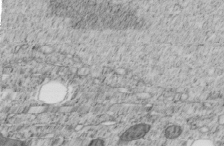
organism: C. elegans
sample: C. elegans embryo early stage